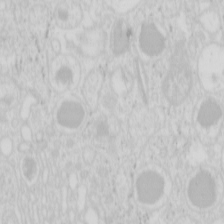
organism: Mouse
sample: Pancreas